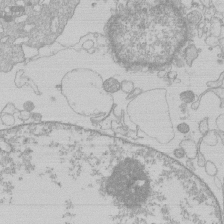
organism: Human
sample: Macrophage cells